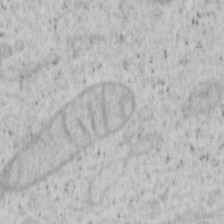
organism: Human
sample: HeLa cells